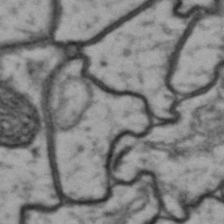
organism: Drosophila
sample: Brain